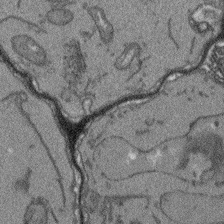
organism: Arabidopsis thaliana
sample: Root tip